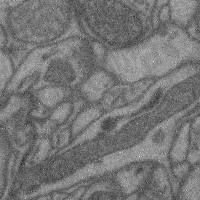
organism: Mouse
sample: Cerebral cortex